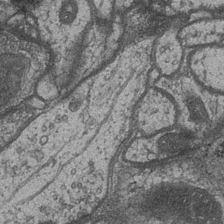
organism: Drosophila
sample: Optic medulla